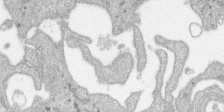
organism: Human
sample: Lung epithelial cells infected with SARS-CoV-2